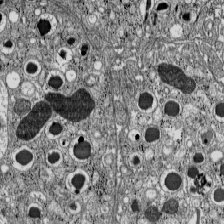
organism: C57BL Mouse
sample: Pancreatic islet